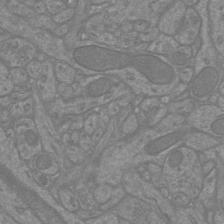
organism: Mouse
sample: Cortical neurons